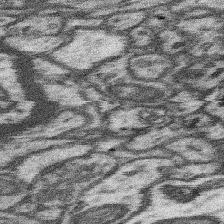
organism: Mouse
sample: Somatosensory cortex neuropil